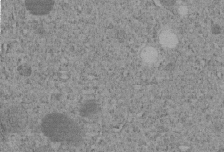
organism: C. elegans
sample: C. elegans embryo early stage